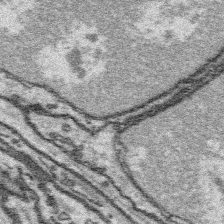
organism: Platynereis dumerilii